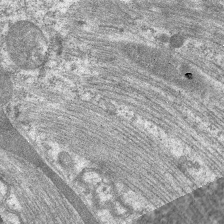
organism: C. elegans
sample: Pharynx